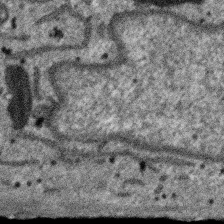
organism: Human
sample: Lung epithelial cells infected with SARS-CoV-2